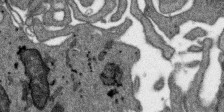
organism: Human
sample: Lung epithelial cells, uninfected (mock) control